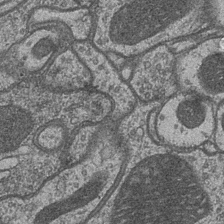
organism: Drosophila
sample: Optic medulla